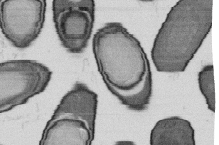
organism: B. subtilis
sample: Bacterial spore